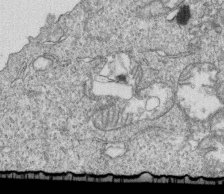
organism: Human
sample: HeLa cell HIV synapse